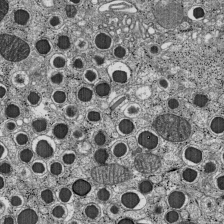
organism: C57BL Mouse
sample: Pancreatic islet